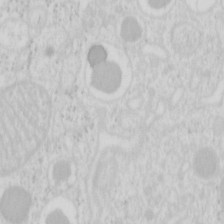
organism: Mouse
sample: Pancreas